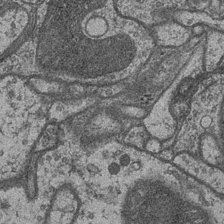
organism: Drosophila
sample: Optic medulla